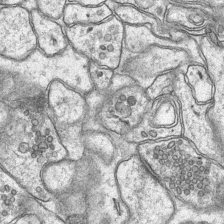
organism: Mouse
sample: CA1 Hippocampus